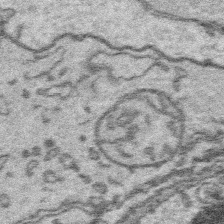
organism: Platynereis dumerilii